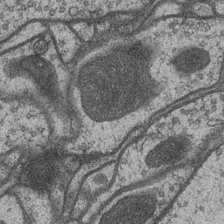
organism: Drosophila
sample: Optic medulla